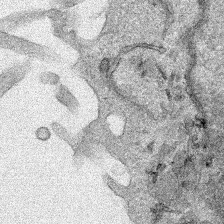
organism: Human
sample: Mitochondria in HCT116 cells